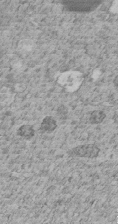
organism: C. elegans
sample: C. elegans embryo early stage